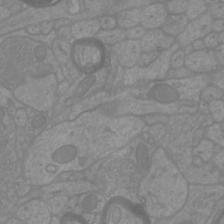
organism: Mouse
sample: Cortical neurons